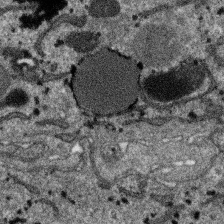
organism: Human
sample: Lung epithelial cells infected with SARS-CoV-2